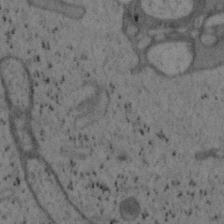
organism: Human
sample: HeLa cells